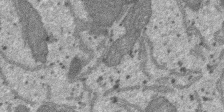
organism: Human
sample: Lung epithelial cells infected with SARS-CoV-2